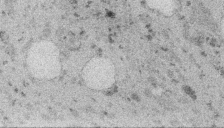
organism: Embia sp.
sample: Silk gland